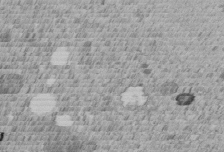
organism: C. elegans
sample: C. elegans embryo early stage